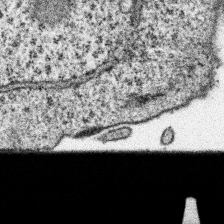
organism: Human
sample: HeLa cells